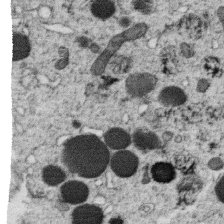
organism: C. elegans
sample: C. elegans oocyte; sperm cells